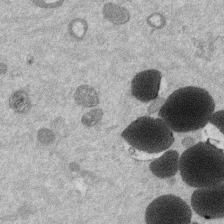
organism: Mouse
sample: Dividing mouse embryo 1 cell stage